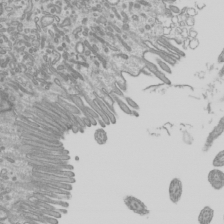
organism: Mouse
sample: Cilia; mouse epididymis